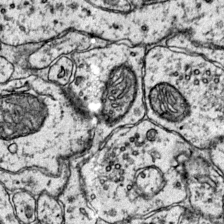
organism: Mouse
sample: Primary visual cortex